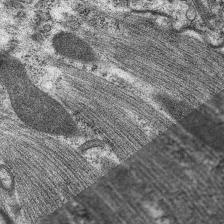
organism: C. elegans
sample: Pharynx